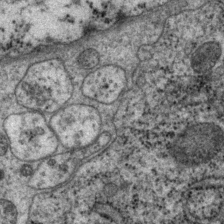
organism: P. pacificus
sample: Pharynx